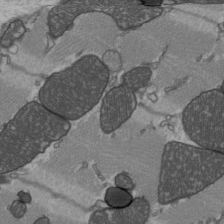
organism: C57BL Mouse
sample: Heart